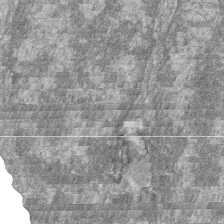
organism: Zebrafish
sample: Cilia; retinal pigment epithelium